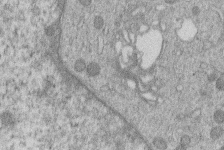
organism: Human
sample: Macrophage cells